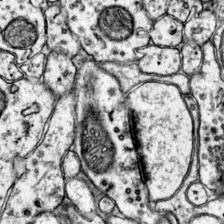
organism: Mouse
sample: Primary visual cortex